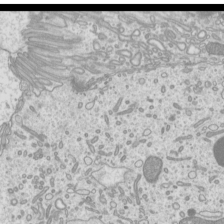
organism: Mouse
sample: Cilia; mouse epididymis